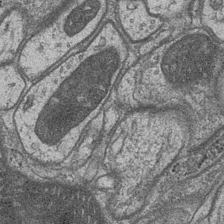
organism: Drosophila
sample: Optic medulla